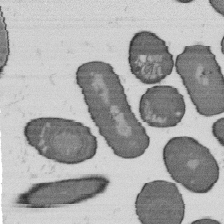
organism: B. subtilis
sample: Bacterial spore